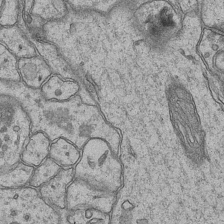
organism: Mouse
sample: CA1 Hippocampus